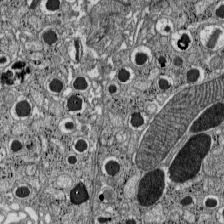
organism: C57BL Mouse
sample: Pancreatic islet